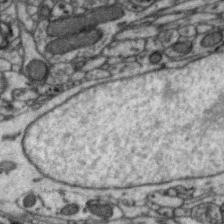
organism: Zebra finch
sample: Brain